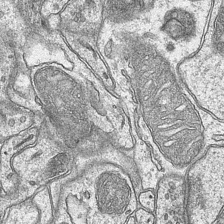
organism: Mouse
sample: CA1 Hippocampus